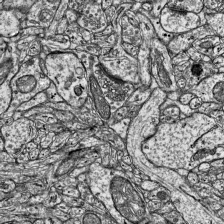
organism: Mouse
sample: Visual Cortex